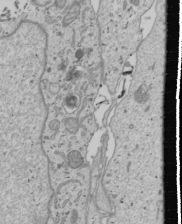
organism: Human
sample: Mitochondria in U2OS cells